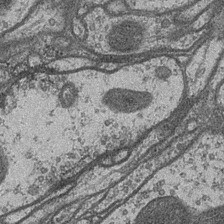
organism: Drosophila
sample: Optic medulla